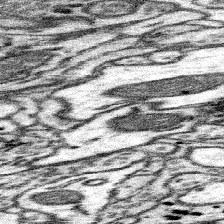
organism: Mouse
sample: Somatosensory cortex neuropil